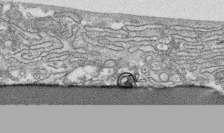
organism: Human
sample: CRL-1474